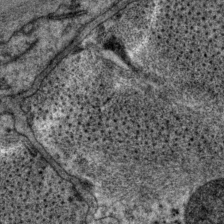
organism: P. pacificus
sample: Pharynx